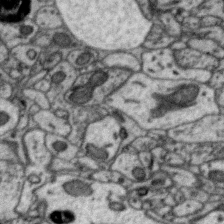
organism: Zebra finch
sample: Brain